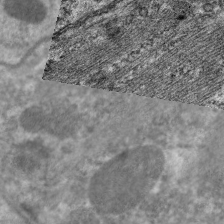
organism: C. elegans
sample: Pharynx